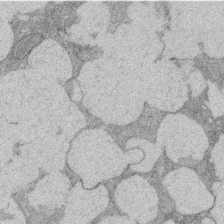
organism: Rat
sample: Salivary granule